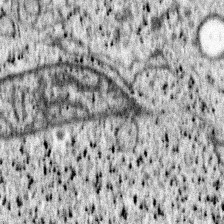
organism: Human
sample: HeLa cells